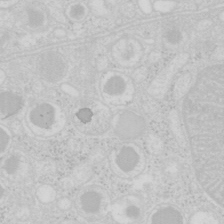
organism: Mouse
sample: Pancreas